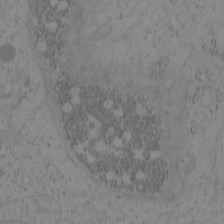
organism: Human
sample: HeLa cells